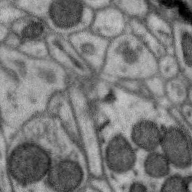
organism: Zebra finch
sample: Brain